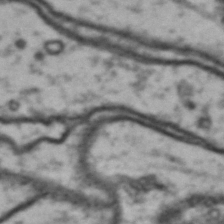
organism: Drosophila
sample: Brain